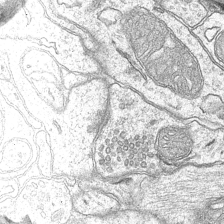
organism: Mouse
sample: CA1 Hippocampus